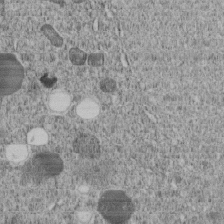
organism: C. elegans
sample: C. elegans embryo early stage